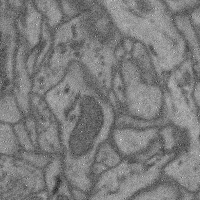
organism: Mouse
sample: Cerebral cortex